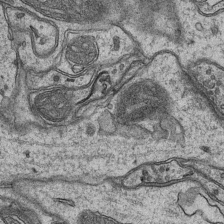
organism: Mouse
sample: CA1 Hippocampus